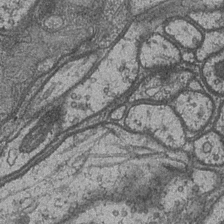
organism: Drosophila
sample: Optic medulla